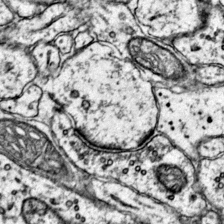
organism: Mouse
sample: Primary visual cortex